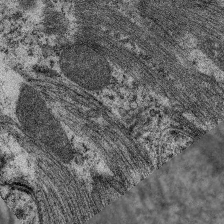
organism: C. elegans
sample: Pharynx